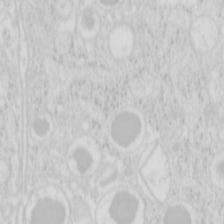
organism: Mouse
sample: Pancreas